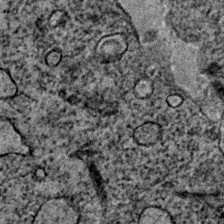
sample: Trachea